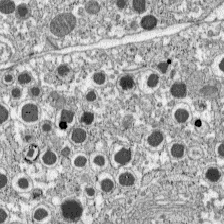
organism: C57BL Mouse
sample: Pancreatic islet